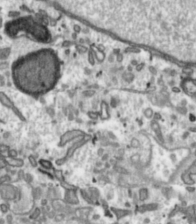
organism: Toxoplasma gondii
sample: Parasites in a vacuole inside a host cell